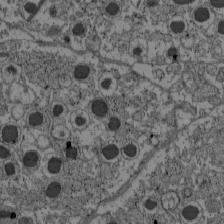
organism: C57BL Mouse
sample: Pancreatic islet